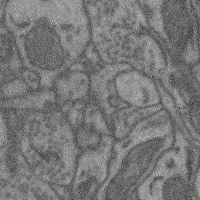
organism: Mouse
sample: Cerebral cortex